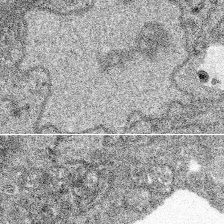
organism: Spongilla lacustris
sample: Multiple